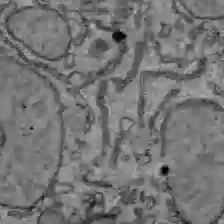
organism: C57BL Mouse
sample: Liver